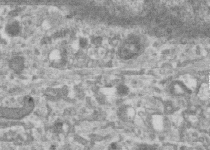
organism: Human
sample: Centriole in RPE cells